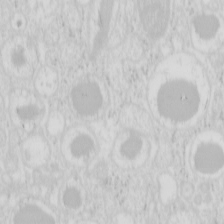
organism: Mouse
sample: Pancreas